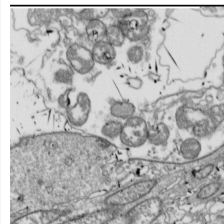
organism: Drosophila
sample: Cell division; meiosis; drosophila spermatocytes